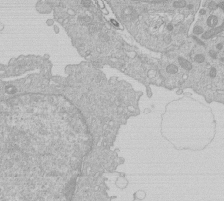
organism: Human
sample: Macrophage cells